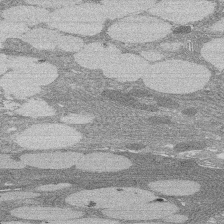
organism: Rat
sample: Salivary granule